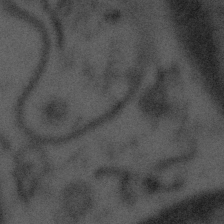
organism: Tuwongella immobilis